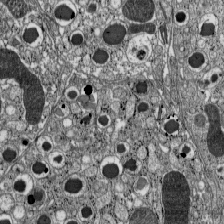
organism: C57BL Mouse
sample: Pancreatic islet